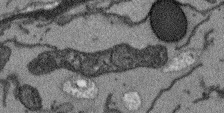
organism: Arabidopsis thaliana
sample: Root tip